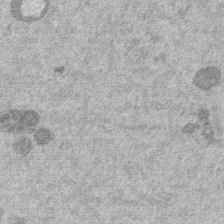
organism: Mouse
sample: Dividing mouse embryo 1 cell stage